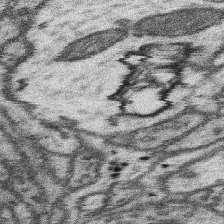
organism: Mouse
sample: Somatosensory cortex neuropil